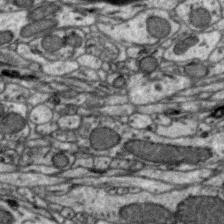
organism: Zebra finch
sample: Brain